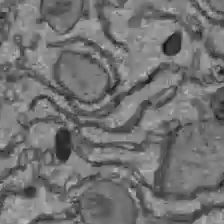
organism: C57BL Mouse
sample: Liver